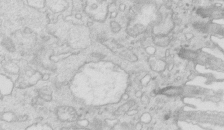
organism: Mouse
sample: Multiciliated cells